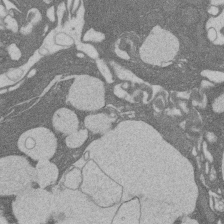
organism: Rat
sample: Salivary granule